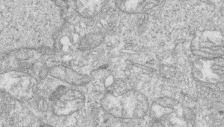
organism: Human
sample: HeLa cell HIV synapse